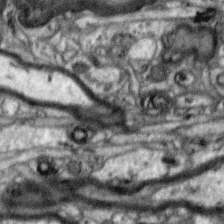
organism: Zebra finch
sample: Brain